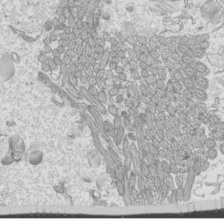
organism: Mouse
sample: Cilia; mouse epididymis